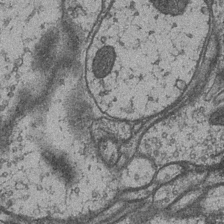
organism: Drosophila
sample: Optic medulla